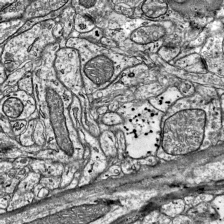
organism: Mouse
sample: Visual Cortex